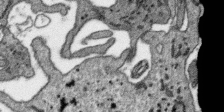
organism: Human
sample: Lung epithelial cells, uninfected (mock) control